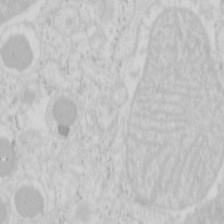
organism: Mouse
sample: Pancreas